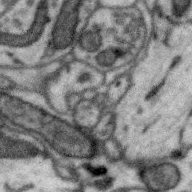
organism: Zebra finch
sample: Brain